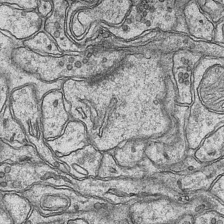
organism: Mouse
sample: CA1 Hippocampus